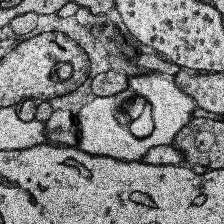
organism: Human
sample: Temporal Lobe